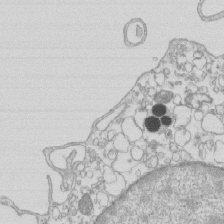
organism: Mouse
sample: Macrophages